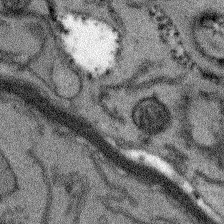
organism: Arabidopsis thaliana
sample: Root tip